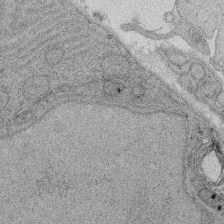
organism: Rat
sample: Salivary granule